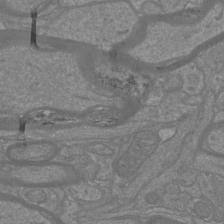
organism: Mouse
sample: Cortical neurons